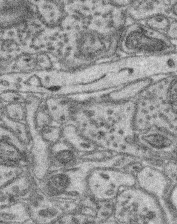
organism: Mouse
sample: Retina